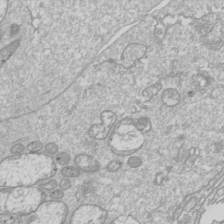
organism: Drosophila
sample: Cell division; meiosis; drosophila spermatocytes